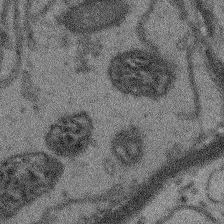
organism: Arabidopsis thaliana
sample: Root tip